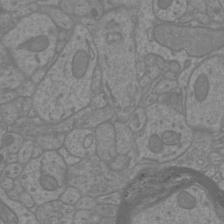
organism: Mouse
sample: Cortical neurons